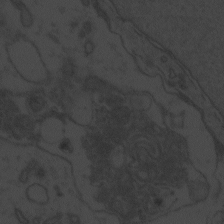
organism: Zebrafish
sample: Macrophage infected with Toxoplasma gondii